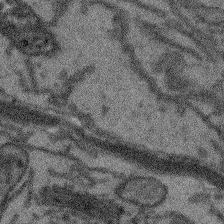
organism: Arabidopsis thaliana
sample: Root tip